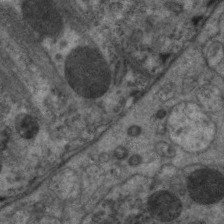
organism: C. elegans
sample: Pharynx